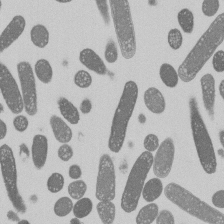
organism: E. coli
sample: Bacterial nucleoid